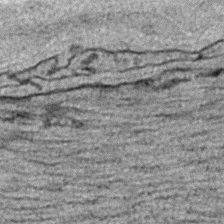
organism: C. elegans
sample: C. elegans embryo